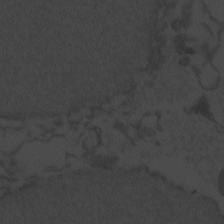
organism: Zebrafish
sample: Macrophage infected with Toxoplasma gondii